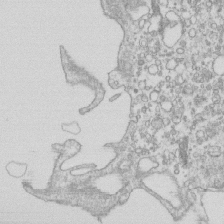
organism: Mouse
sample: Macrophages